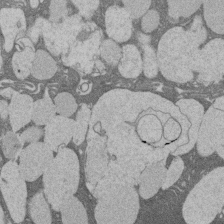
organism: Rat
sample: Salivary granule